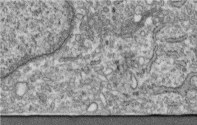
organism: Human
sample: Centriole in fibroblast cells